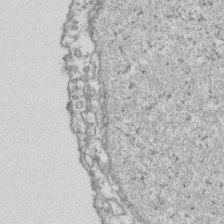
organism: Human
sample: Activated Jurkat CD4+ T cells